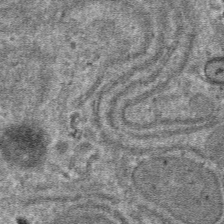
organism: Mouse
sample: Mouse hepatocytes